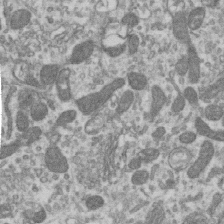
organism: Human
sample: Centriole in RPE cells